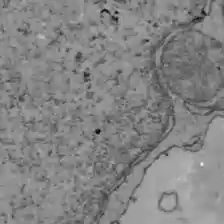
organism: C57BL Mouse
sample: Liver